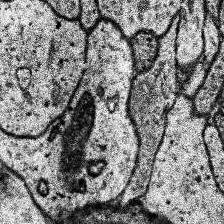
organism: Human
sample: Temporal Lobe